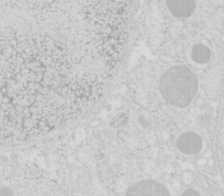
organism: Mouse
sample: Pancreas